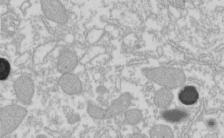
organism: Xenopus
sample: Cilia; centrioles in frog embryo cells